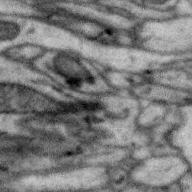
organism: Zebra finch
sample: Brain